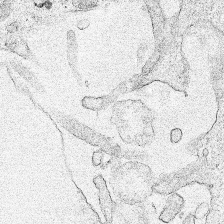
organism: Human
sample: Mitochondria in HCT116 cells